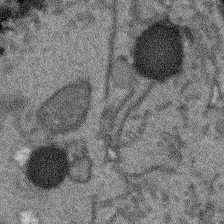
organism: Arabidopsis thaliana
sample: Root tip